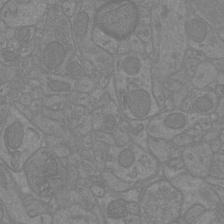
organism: Mouse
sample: Cortical neurons